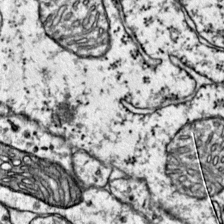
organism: Mouse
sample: Primary visual cortex